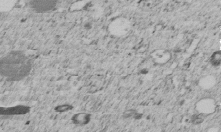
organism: C. elegans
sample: C. elegans embryo early stage